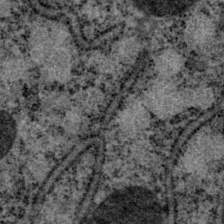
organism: P. pacificus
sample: Pharynx